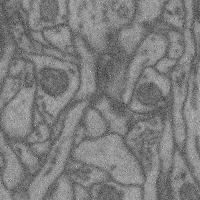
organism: Mouse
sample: Cerebral cortex